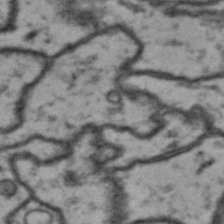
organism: Drosophila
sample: Brain